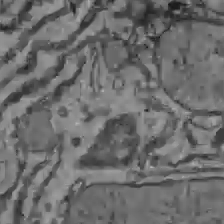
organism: C57BL Mouse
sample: Liver